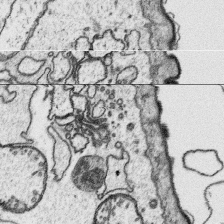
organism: Platynereis dumerilii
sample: Parapodia